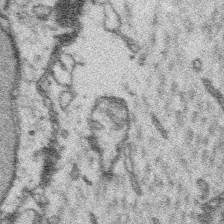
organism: Platynereis dumerilii